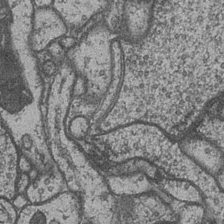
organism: Drosophila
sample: Optic medulla